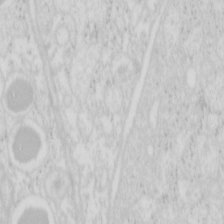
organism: Mouse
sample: Pancreas